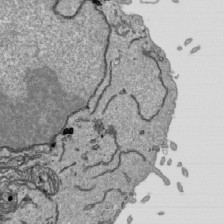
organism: Human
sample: Mitochondria in HCT116 cells